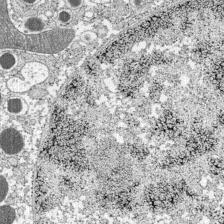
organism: C57BL Mouse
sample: Pancreatic islet